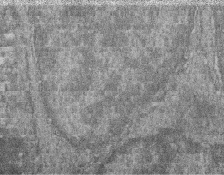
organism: Zebrafish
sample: Cilia; retinal pigment epithelium